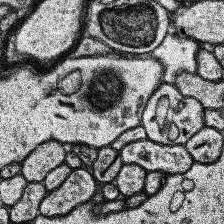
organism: Human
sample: Temporal Lobe